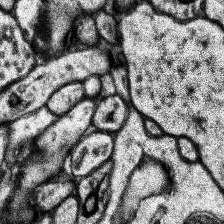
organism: Human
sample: Temporal Lobe